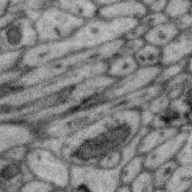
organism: Zebra finch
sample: Brain